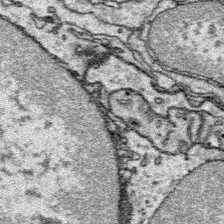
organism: Platynereis dumerilii